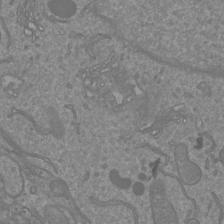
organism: Mouse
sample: Cortical neurons